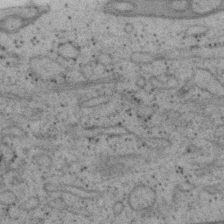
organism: Human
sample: HeLa cells